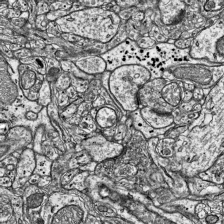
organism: Mouse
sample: Visual Cortex